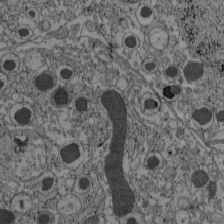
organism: C57BL Mouse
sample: Pancreatic islet